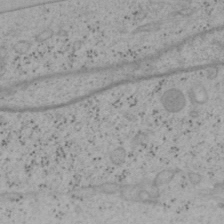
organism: Human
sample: HeLa cells